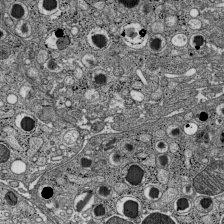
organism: C57BL Mouse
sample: Pancreatic islet